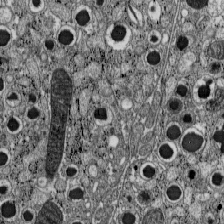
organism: C57BL Mouse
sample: Pancreatic islet